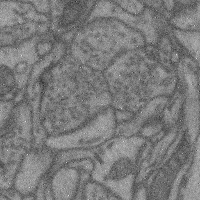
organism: Mouse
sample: Cerebral cortex